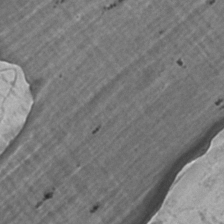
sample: Trachea